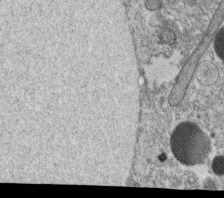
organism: C. elegans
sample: C. elegans oocyte; sperm cells